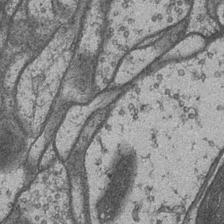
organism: Drosophila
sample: Optic medulla